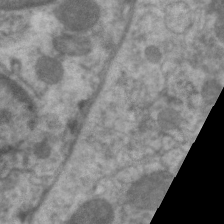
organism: C. elegans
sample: Pharynx